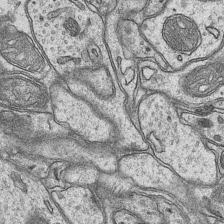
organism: Mouse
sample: CA1 Hippocampus